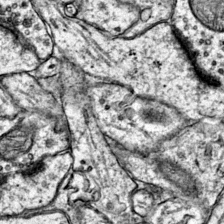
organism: Mouse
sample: Primary visual cortex